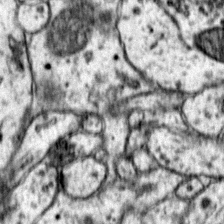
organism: Mouse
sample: Primary visual cortex